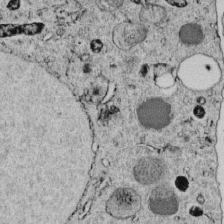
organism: C. elegans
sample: C. elegans embryo early stage